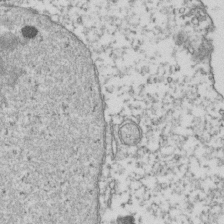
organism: Human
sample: Activated Jurkat CD4+ T cells